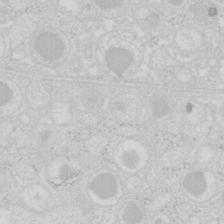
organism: Mouse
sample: Pancreas